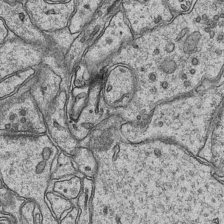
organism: Mouse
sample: CA1 Hippocampus